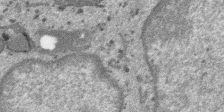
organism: Human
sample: Lung epithelial cells infected with SARS-CoV-2